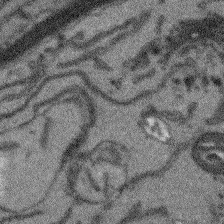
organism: Arabidopsis thaliana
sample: Root tip